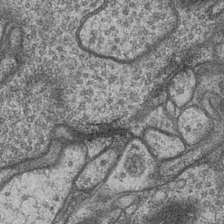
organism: Drosophila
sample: Optic medulla